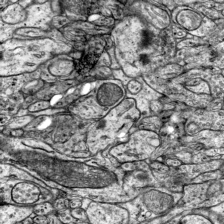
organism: Mouse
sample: Visual Cortex